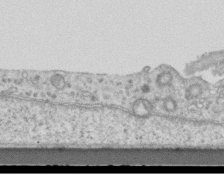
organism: Mouse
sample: Centriole in ependymal cells